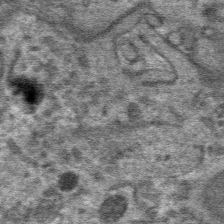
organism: Mouse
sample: Mouse hepatocytes